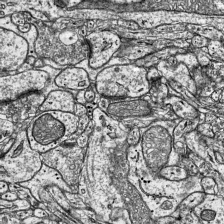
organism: Mouse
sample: Visual Cortex